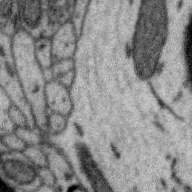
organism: Zebra finch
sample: Brain